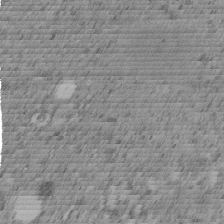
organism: C. elegans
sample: C. elegans embryo early stage